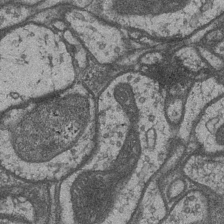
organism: Drosophila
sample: Optic medulla